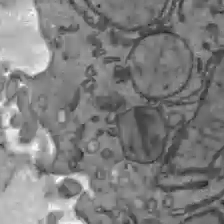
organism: C57BL Mouse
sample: Liver